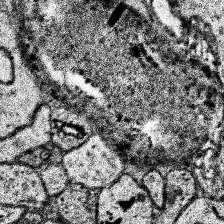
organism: Human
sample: Temporal Lobe